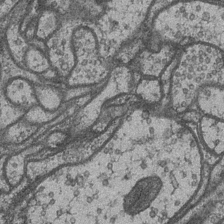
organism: Drosophila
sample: Optic medulla